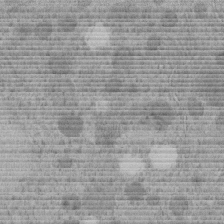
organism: C. elegans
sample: C. elegans embryo early stage